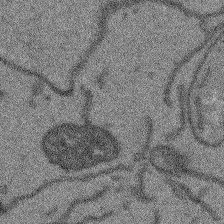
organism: Arabidopsis thaliana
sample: Root tip